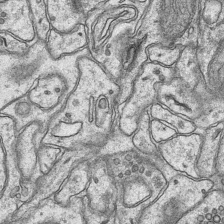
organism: Mouse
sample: CA1 Hippocampus